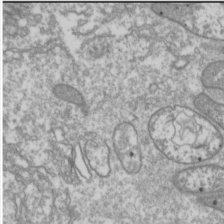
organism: Drosophila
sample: Cell division; meiosis; drosophila spermatocytes